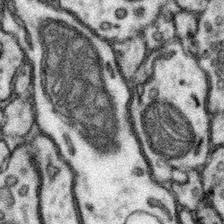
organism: Mouse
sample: Somatosensory cortex neuropil